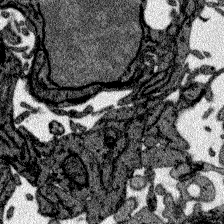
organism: Zebrafish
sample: Larval olfactory bulb